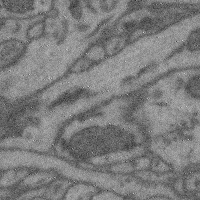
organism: Mouse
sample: Cerebral cortex